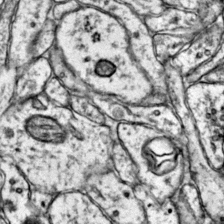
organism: Mouse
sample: Primary visual cortex